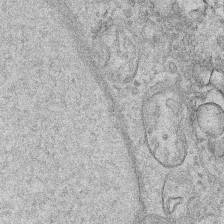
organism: Human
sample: Mitochondria in HCT116 cells